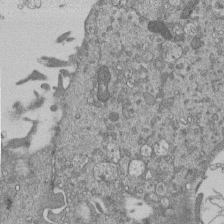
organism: Mouse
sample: ED-1 cell nuclei; centrioles